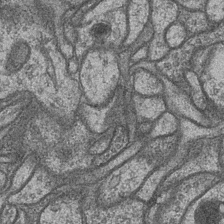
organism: Drosophila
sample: Optic medulla